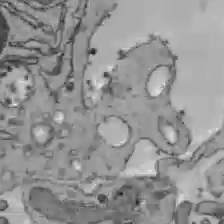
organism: C57BL Mouse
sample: Liver